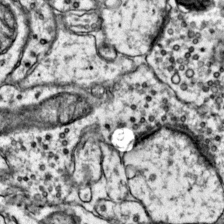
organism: Mouse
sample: Primary visual cortex